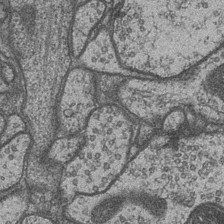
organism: Drosophila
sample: Optic medulla